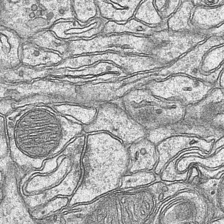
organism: Mouse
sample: CA1 Hippocampus